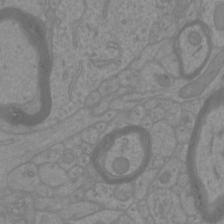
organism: Mouse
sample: Cortical neurons